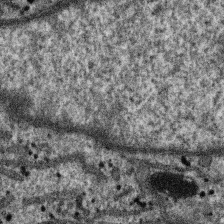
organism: Human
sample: Lung epithelial cells infected with SARS-CoV-2